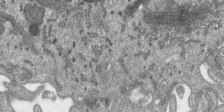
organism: Human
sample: Lung epithelial cells infected with SARS-CoV-2